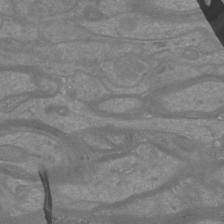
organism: Mouse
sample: Cortical neurons